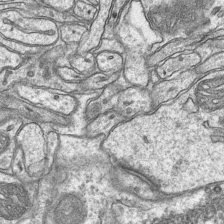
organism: Mouse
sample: CA1 Hippocampus